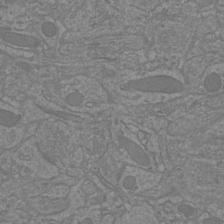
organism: Mouse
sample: Cortical neurons